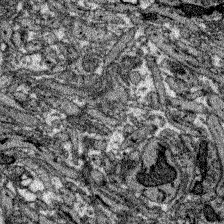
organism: Zebrafish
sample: Larval olfactory bulb